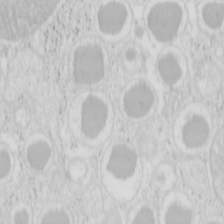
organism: Mouse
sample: Pancreas